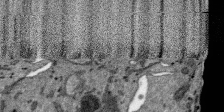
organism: Human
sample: Lung epithelial cells, uninfected (mock) control